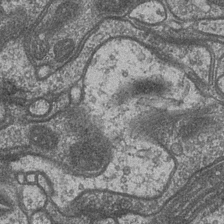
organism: Drosophila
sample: Optic medulla